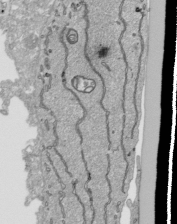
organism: Human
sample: Mitochondria in HCT116 cells